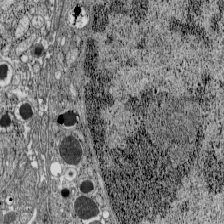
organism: C57BL Mouse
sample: Pancreatic islet